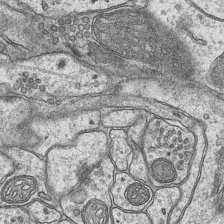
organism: Mouse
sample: CA1 Hippocampus